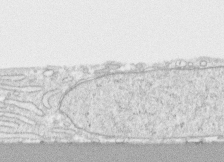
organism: Human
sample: CRL-1474